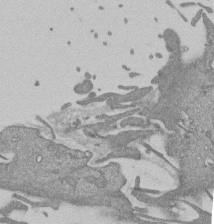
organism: Mouse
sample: ED-1 cell nuclei; centrioles